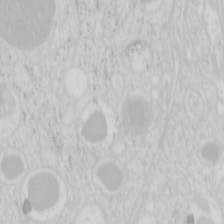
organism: Mouse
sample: Pancreas